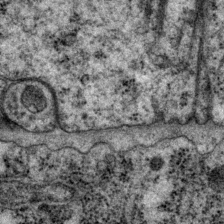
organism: P. pacificus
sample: Pharynx